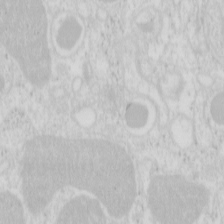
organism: Mouse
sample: Pancreas